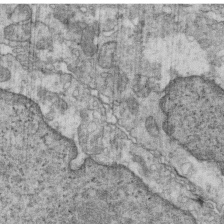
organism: Mouse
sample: Multiciliated cells